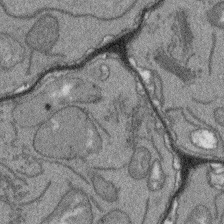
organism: Arabidopsis thaliana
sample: Root tip